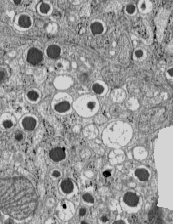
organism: C57BL Mouse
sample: Pancreatic islet